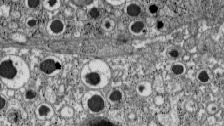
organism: C57BL Mouse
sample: Pancreatic islet